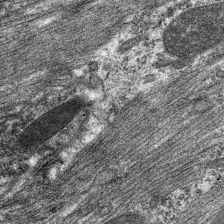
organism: C. elegans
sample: Pharynx